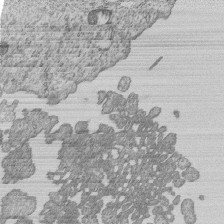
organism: Human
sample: MDA-MB-231 cells